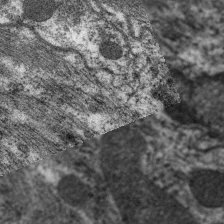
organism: C. elegans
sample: Pharynx